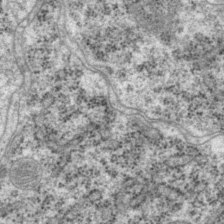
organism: P. pacificus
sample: Pharynx